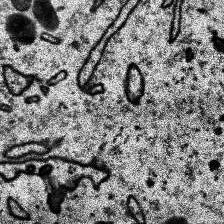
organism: Human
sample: Temporal Lobe